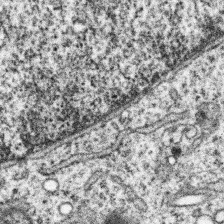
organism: Human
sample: HeLa cells